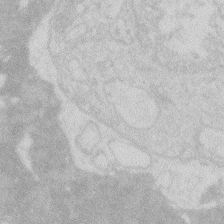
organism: Zebrafish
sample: Macrophage